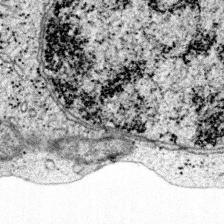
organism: Human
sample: HeLa cells